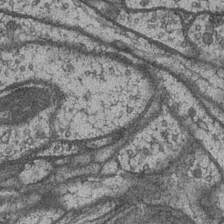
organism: Drosophila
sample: Optic medulla